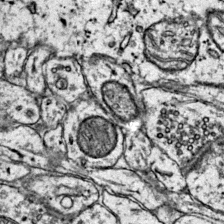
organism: Mouse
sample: Primary visual cortex